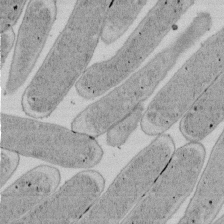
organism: E. coli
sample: Bacterial nucleoid